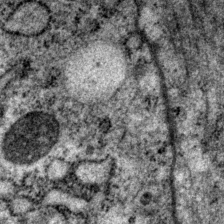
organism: P. pacificus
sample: Pharynx